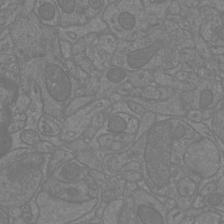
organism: Mouse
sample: Cortical neurons